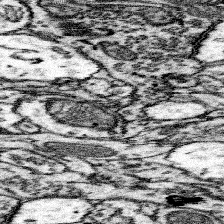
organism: Mouse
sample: Somatosensory cortex neuropil